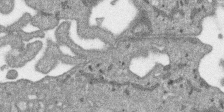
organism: Human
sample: Lung epithelial cells infected with SARS-CoV-2